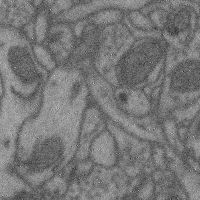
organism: Mouse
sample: Cerebral cortex